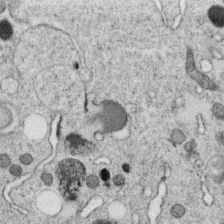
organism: C. elegans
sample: C. elegans oocyte; sperm cells